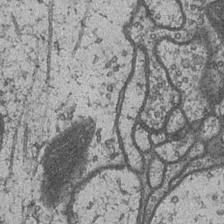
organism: Drosophila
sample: Optic medulla